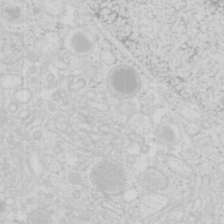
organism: Mouse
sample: Pancreas